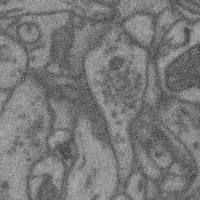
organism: Mouse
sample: Cerebral cortex